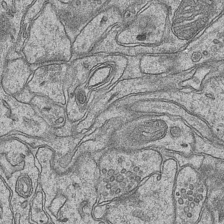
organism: Mouse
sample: CA1 Hippocampus